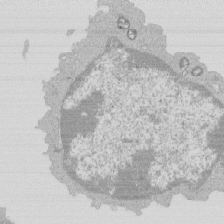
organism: Mouse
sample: Activated Pmel transgenic CD8+ T Cells